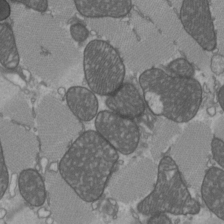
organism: C57BL Mouse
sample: Heart